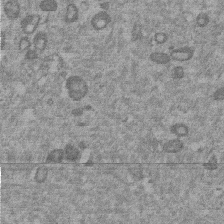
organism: Mouse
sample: Dividing mouse embryo 1 cell stage